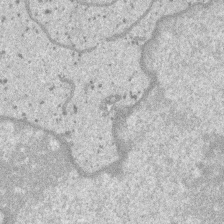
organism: Human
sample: Lung epithelial cells infected with SARS-CoV-2